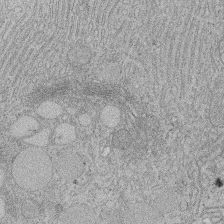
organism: Rat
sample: Salivary granule